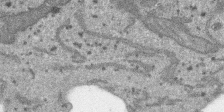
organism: Human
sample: Lung epithelial cells infected with SARS-CoV-2